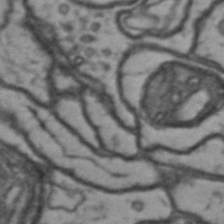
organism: Drosophila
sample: Brain